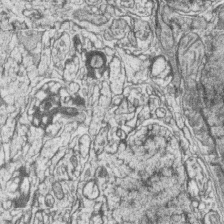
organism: Zebrafish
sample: synaptic ribbons in rod cells and cone cells